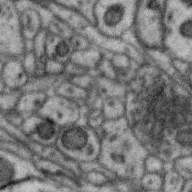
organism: Zebra finch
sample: Brain